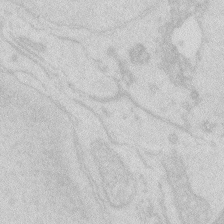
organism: Zebrafish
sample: Macrophage